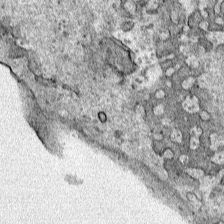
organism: Human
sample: Mitochondria in HCT116 cells